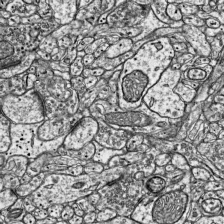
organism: Mouse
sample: Visual Cortex